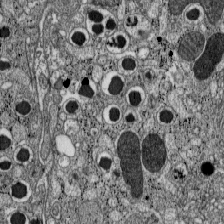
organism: C57BL Mouse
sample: Pancreatic islet